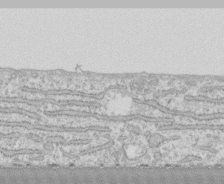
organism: Human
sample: CRL-1474